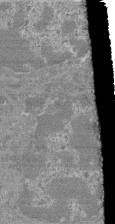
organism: Mouse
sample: Glomerulus